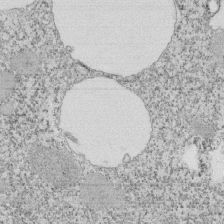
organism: Tetrahymena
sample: Cilia in tetrahymena